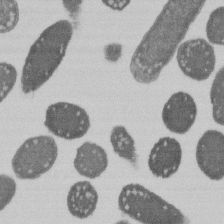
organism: E. coli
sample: Bacterial nucleoid